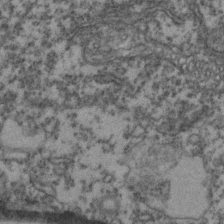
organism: Zebrafish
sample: Zebrafish embryo